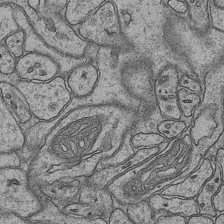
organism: Mouse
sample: CA1 Hippocampus